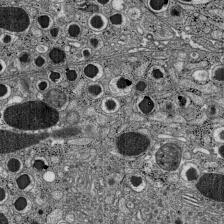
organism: C57BL Mouse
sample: Pancreatic islet